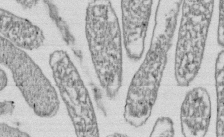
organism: E. coli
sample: Bacterial nucleoid